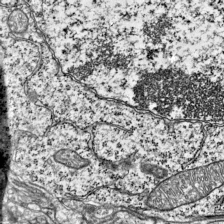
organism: Mouse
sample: Visual Cortex